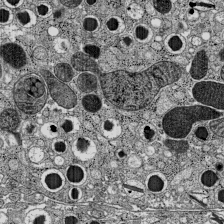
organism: C57BL Mouse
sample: Pancreatic islet